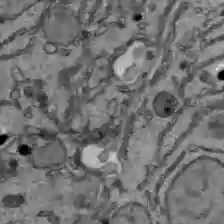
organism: C57BL Mouse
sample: Liver